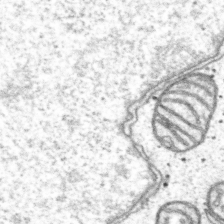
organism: Human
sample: HeLa cells